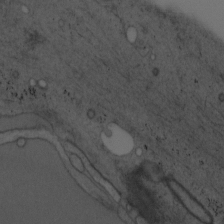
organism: Mouse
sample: OT-I killer T cells with ID8 ovarian cancer cells